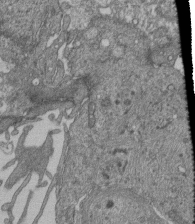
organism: Human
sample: Retinal organoid Rod and Cone cells